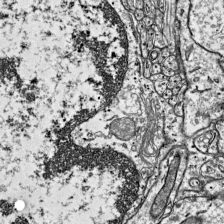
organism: Mouse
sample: Visual Cortex